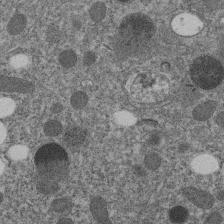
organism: C. elegans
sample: C. elegans embryo early stage